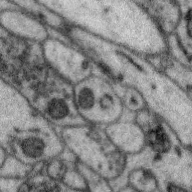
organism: Zebra finch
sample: Brain